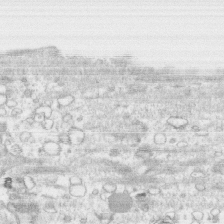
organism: Human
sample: CRL-1474